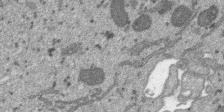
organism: Human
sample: Lung epithelial cells infected with SARS-CoV-2